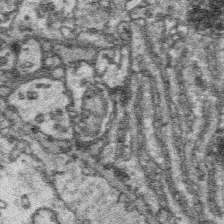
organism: Platynereis dumerilii